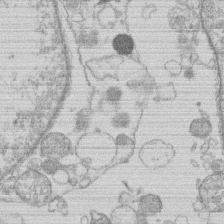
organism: Human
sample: Macrophage cells